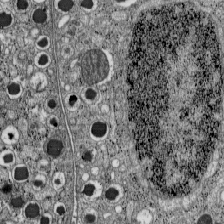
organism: C57BL Mouse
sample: Pancreatic islet